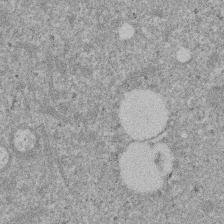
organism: Mouse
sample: Dividing mouse embryo 1 cell stage